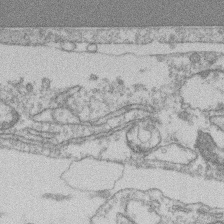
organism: Mouse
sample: T cell stromal cell synapse